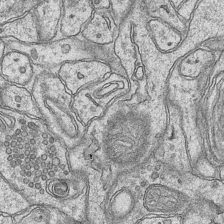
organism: Mouse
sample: CA1 Hippocampus